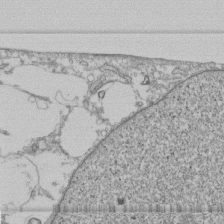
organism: Human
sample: Fibroblast cells